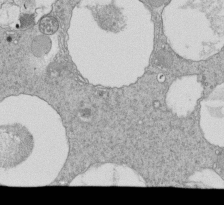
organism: Tetrahymena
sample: Cilia in tetrahymena